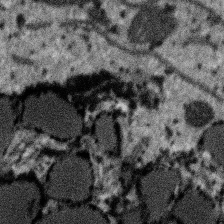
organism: Human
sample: Lung epithelial cells infected with SARS-CoV-2